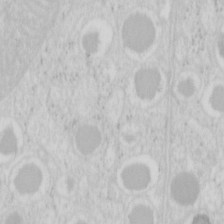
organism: Mouse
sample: Pancreas